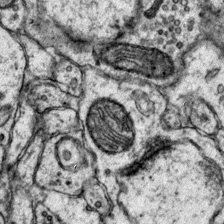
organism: Mouse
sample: Primary visual cortex